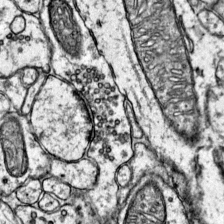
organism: Mouse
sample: Primary visual cortex